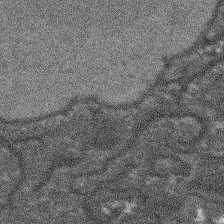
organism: Arabidopsis thaliana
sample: Root tip